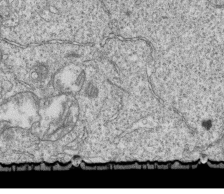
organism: Human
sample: HeLa cell HIV synapse